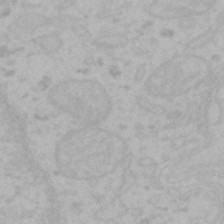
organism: Mouse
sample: Choroid plexus